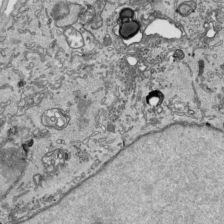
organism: Human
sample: Mitochondria in HCT116 cells